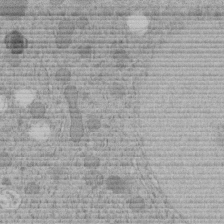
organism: C. elegans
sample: C. elegans embryo early stage